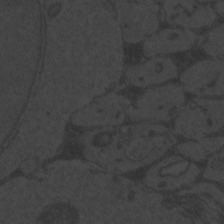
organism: Zebrafish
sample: Macrophage infected with Toxoplasma gondii